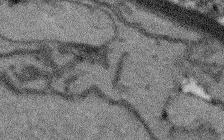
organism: Arabidopsis thaliana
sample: Root tip